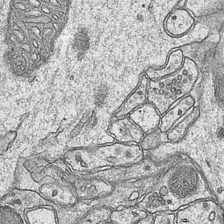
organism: Mouse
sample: CA1 Hippocampus